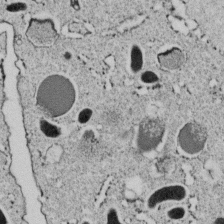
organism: C. elegans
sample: C. elegans embryo early stage